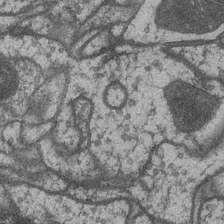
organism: Drosophila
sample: Optic medulla